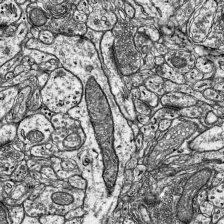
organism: Mouse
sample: Visual Cortex